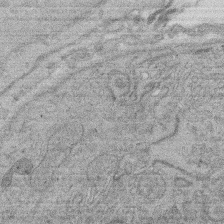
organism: Rat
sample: Salivary granule